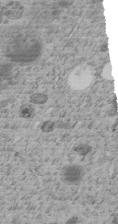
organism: C. elegans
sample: C. elegans embryo early stage